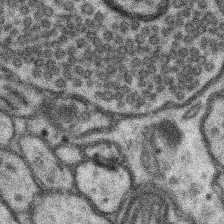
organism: Mouse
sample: Somatosensory cortex neuropil